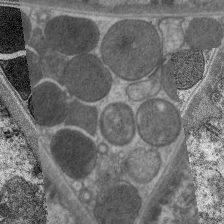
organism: C. elegans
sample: Pharynx